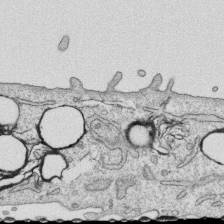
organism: Human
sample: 1205lu cells